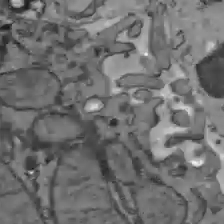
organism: C57BL Mouse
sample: Liver